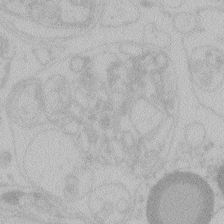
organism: Zebrafish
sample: Macrophage infected with Toxoplasma gondii